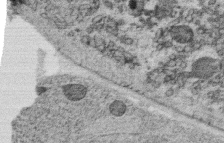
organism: C. elegans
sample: C. elegans oocyte; sperm cells